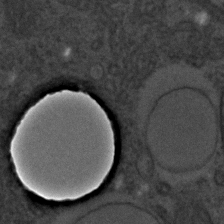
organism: C. elegans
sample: C. elegans embryo